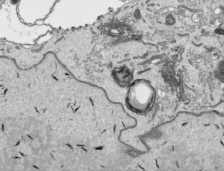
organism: Human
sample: Mitochondria in HCT116 cells